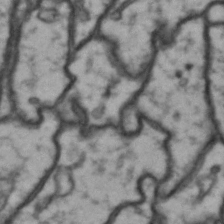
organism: Drosophila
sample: Brain